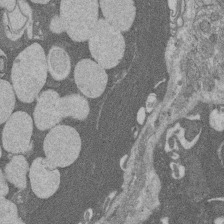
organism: Rat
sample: Salivary granule